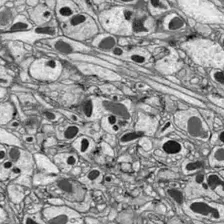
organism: Drosophila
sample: Optic lobe